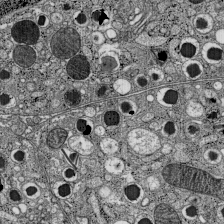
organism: C57BL Mouse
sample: Pancreatic islet